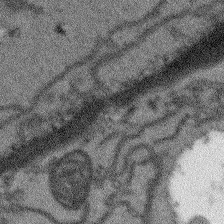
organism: Arabidopsis thaliana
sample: Root tip